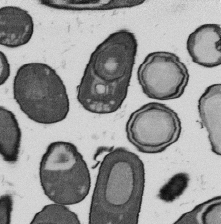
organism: B. subtilis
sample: Bacterial spore